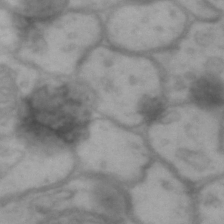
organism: Drosophila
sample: Brain